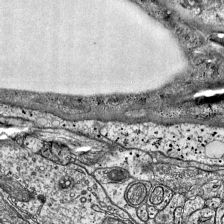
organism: Mouse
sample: Visual Cortex